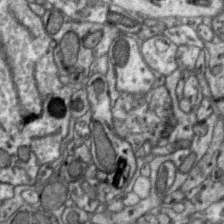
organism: Zebra finch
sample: Brain